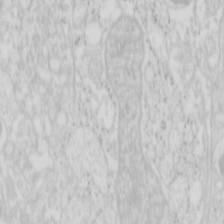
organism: Mouse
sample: Pancreas